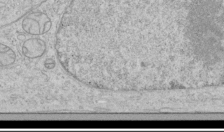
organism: Human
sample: Mitochondria in HCT116 cells